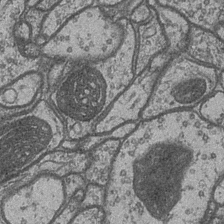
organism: Drosophila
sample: Optic medulla